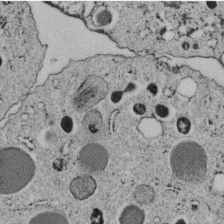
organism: C. elegans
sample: C. elegans embryo early stage